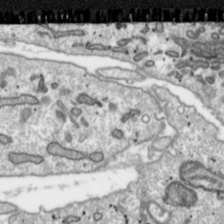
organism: Toxoplasma gondii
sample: Parasites in a vacuole inside a host cell